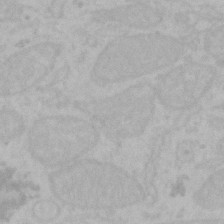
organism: Mouse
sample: Choroid plexus